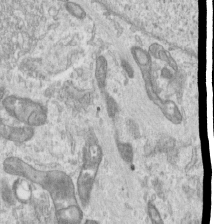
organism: Human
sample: Centriole in RPE cells